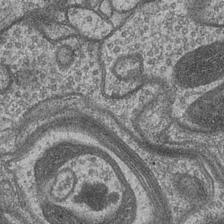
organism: Drosophila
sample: Optic medulla